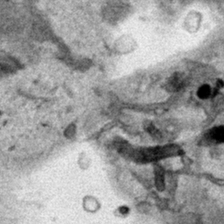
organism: Human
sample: Mitochondria in HCT116 cells